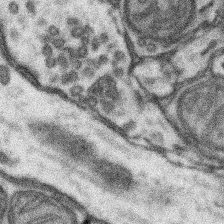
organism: Mouse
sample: Somatosensory cortex neuropil